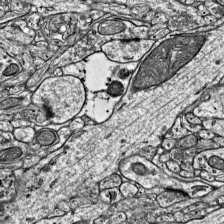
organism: Mouse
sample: Visual Cortex